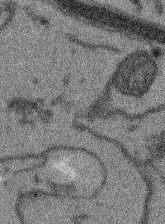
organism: Arabidopsis thaliana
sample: Root tip